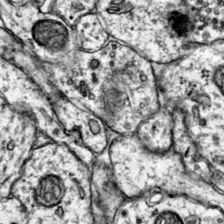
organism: Mouse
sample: Primary visual cortex